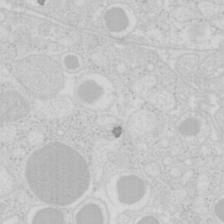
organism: Mouse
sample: Pancreas